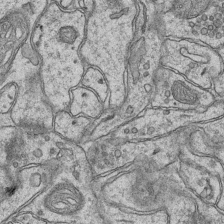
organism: Mouse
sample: CA1 Hippocampus